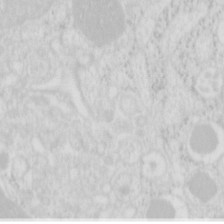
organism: Mouse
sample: Pancreas